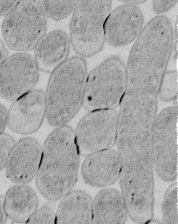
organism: E. coli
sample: Bacterial nucleoid